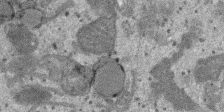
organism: Human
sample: Lung epithelial cells infected with SARS-CoV-2